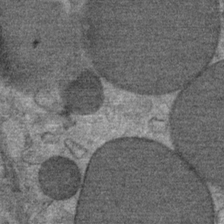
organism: Mouse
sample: Mouse Salivary gland